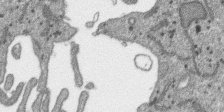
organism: Human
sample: Lung epithelial cells infected with SARS-CoV-2